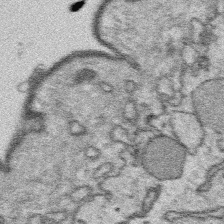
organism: Platynereis dumerilii